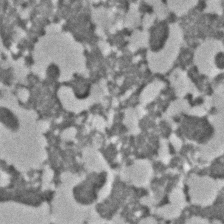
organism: C. elegans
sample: C. elegans embryo